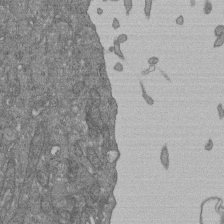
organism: Human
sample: Retinal organoid Rod and Cone cells